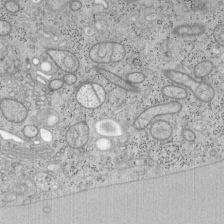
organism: Mouse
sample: OT-I killer T cells with ID8 ovarian cancer cells